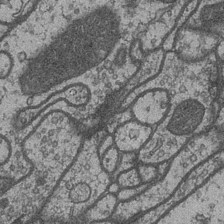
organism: Drosophila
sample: Optic medulla